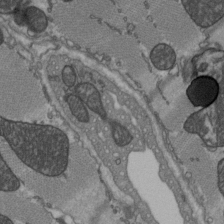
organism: C57BL Mouse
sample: Heart